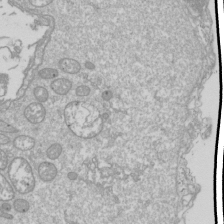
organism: Drosophila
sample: Cell division; meiosis; drosophila spermatocytes